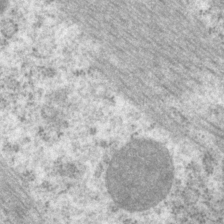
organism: P. pacificus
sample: Pharynx